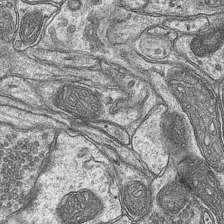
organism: Mouse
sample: CA1 Hippocampus